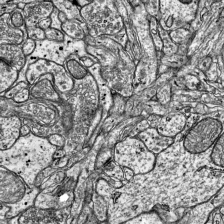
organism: Mouse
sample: Visual Cortex